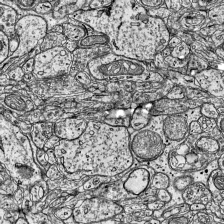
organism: Mouse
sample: Visual Cortex